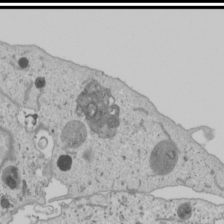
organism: Human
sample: Mitochondria in U2OS cells